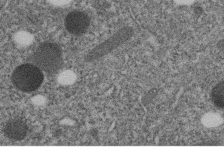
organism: C. elegans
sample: C. elegans embryo early stage